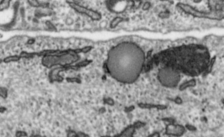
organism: Toxoplasma gondii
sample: Parasites in a vacuole inside a host cell